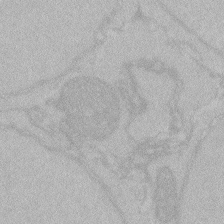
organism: Zebrafish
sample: Macrophage infected with Toxoplasma gondii